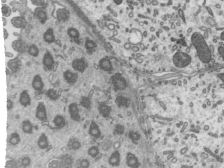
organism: Mouse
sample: Mouse epididymis efferent ductule cilia